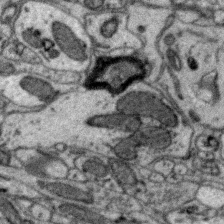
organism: Zebra finch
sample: Brain